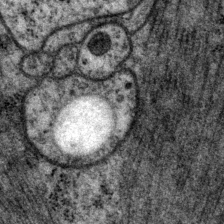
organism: P. pacificus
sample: Pharynx